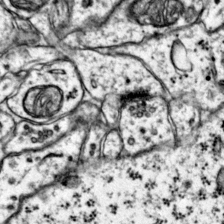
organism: Mouse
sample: Primary visual cortex